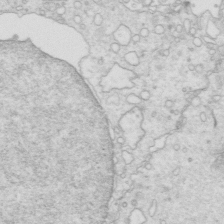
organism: Mouse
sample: Multiciliated cells